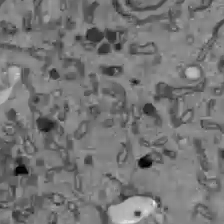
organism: C57BL Mouse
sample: Liver